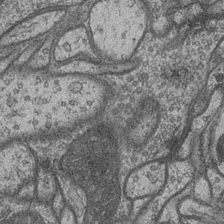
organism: Drosophila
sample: Optic medulla